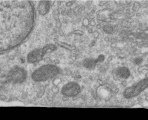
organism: Human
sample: Centriole in RPE cells